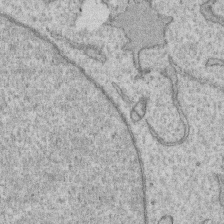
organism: Human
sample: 1205lu cells